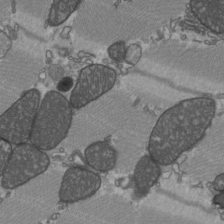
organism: C57BL Mouse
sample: Heart